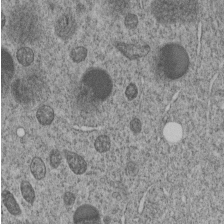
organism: C. elegans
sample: C. elegans embryo early stage